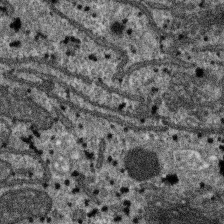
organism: Human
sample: Lung epithelial cells infected with SARS-CoV-2